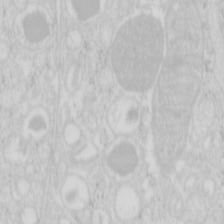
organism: Mouse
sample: Pancreas